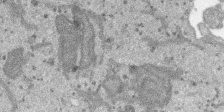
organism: Human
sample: Lung epithelial cells infected with SARS-CoV-2